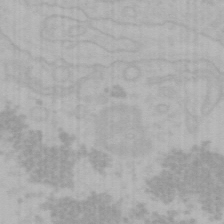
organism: Mouse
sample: Choroid plexus